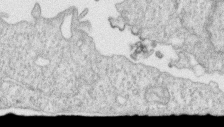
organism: Human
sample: HeLa cell HIV synapse